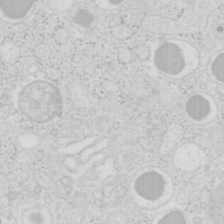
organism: Mouse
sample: Pancreas